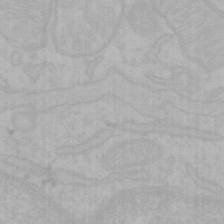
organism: Mouse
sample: Choroid plexus